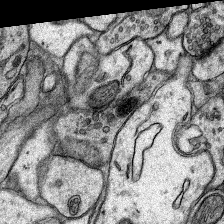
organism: Rat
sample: Hippocampus